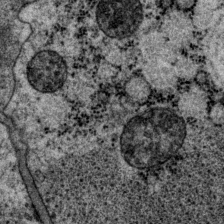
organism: P. pacificus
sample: Pharynx